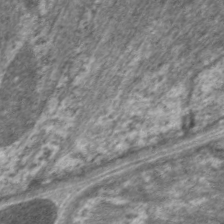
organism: C. elegans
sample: Pharynx